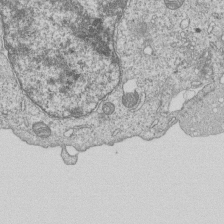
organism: Human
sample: MDA-MB-231 cells